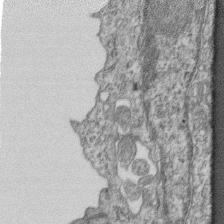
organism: Mouse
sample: Centriole in ependymal cells